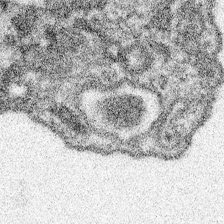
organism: Spongilla lacustris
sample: Neuroid cell